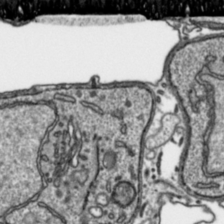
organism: Toxoplasma gondii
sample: Parasites in a vacuole inside a host cell